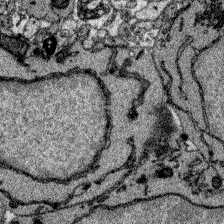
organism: Zebrafish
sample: Larval olfactory bulb